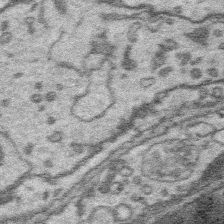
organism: Platynereis dumerilii